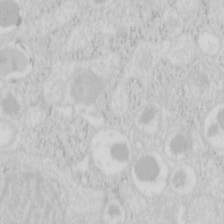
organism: Mouse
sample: Pancreas